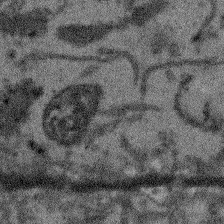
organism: Arabidopsis thaliana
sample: Root tip